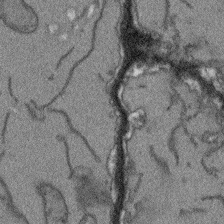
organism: Arabidopsis thaliana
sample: Root tip